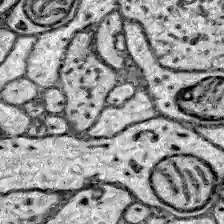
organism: Zebrafish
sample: Brain